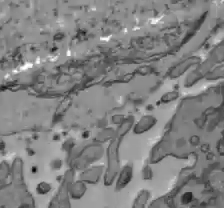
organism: C57BL Mouse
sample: Liver